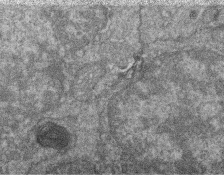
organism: Zebrafish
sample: Cilia; retinal pigment epithelium